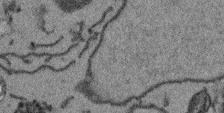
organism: Arabidopsis thaliana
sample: Root tip